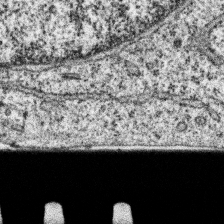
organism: Human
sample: HeLa cells